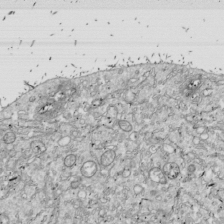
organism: Drosophila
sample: Cell division; meiosis; drosophila spermatocytes